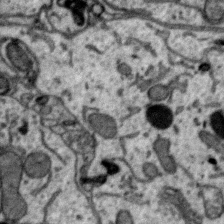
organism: Zebra finch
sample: Brain